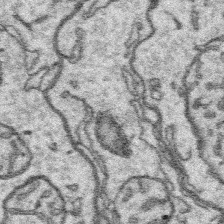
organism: Platynereis dumerilii